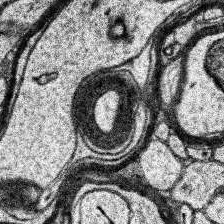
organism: Human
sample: Temporal Lobe